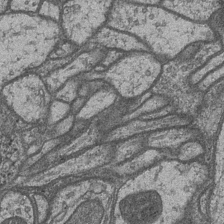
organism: Drosophila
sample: Optic medulla